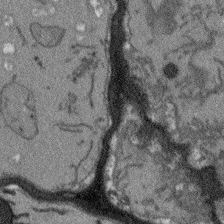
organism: Arabidopsis thaliana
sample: Root tip